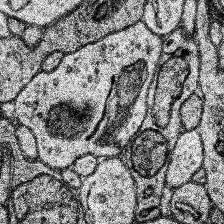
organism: Human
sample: Temporal Lobe